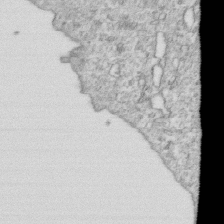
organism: Mouse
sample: Activated OT-1 CD8+ T cells